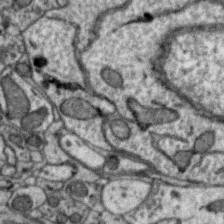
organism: Zebra finch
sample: Brain